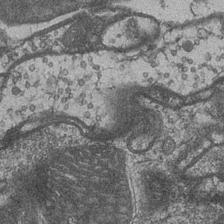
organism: Drosophila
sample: Optic medulla